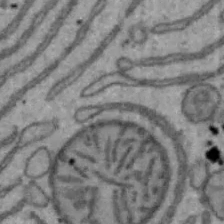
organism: Mouse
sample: Liver